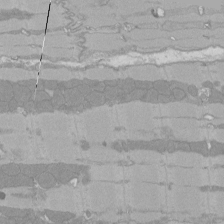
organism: Rat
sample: Left ventricle